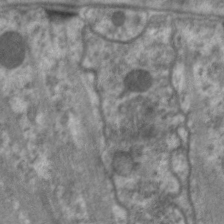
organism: C. elegans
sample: Pharynx